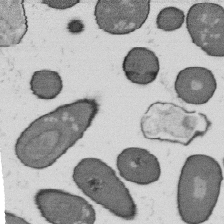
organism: B. subtilis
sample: Bacterial spore